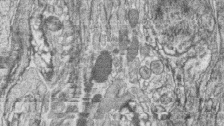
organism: Zebrafish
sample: synaptic ribbons in rod cells and cone cells